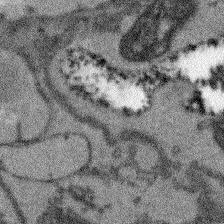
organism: Arabidopsis thaliana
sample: Root tip